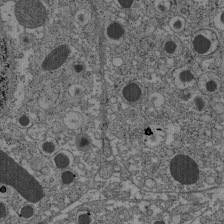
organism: C57BL Mouse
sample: Pancreatic islet